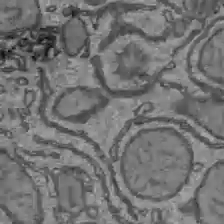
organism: C57BL Mouse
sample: Liver